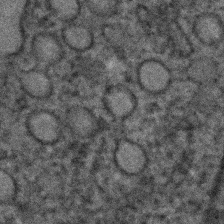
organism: C. elegans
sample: C. elegans embryo